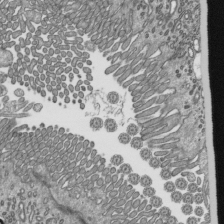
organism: Mouse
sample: Mouse epididymis efferent ductule cilia